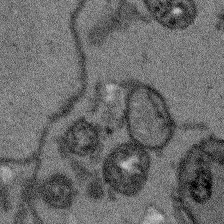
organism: Arabidopsis thaliana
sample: Root tip